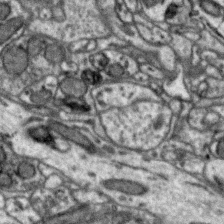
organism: Zebra finch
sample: Brain